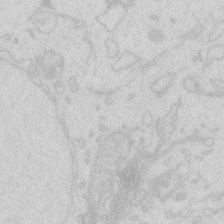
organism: Zebrafish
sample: Macrophage